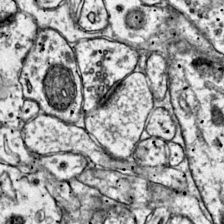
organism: Mouse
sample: Primary visual cortex